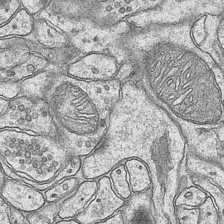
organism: Mouse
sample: CA1 Hippocampus